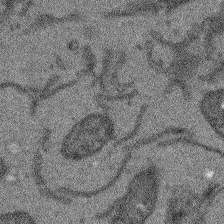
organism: Arabidopsis thaliana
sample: Root tip